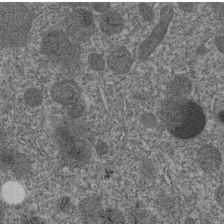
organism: C. elegans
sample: C. elegans embryo early stage